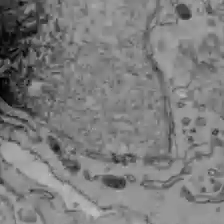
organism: C57BL Mouse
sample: Liver